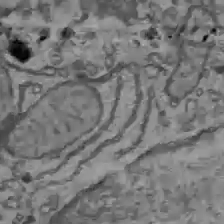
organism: C57BL Mouse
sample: Liver